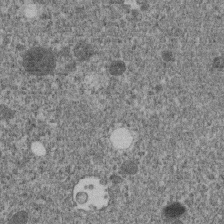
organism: C. elegans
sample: C. elegans embryo early stage